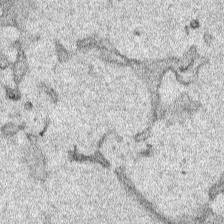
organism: Human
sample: Mitochondria in HCT116 cells